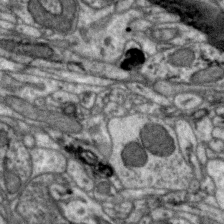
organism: Zebra finch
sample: Brain